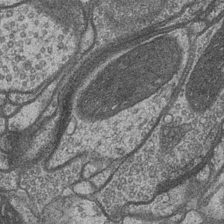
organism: Drosophila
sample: Optic medulla